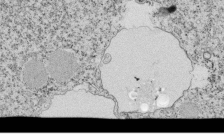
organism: Tetrahymena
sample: Cilia in tetrahymena